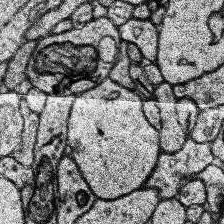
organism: Human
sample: Temporal Lobe